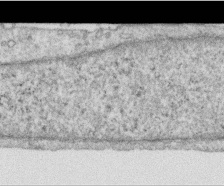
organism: Human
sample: Centriole in RPE cells